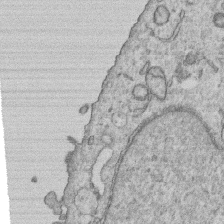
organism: Human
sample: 1205lu cells